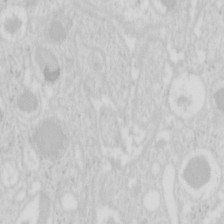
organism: Mouse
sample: Pancreas